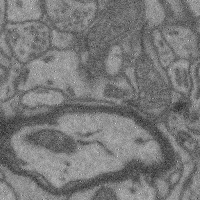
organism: Mouse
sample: Cerebral cortex